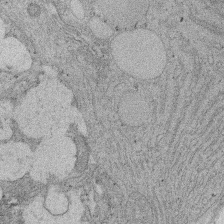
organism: Rat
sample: Salivary granule